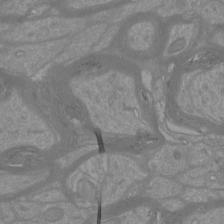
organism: Mouse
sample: Cortical neurons